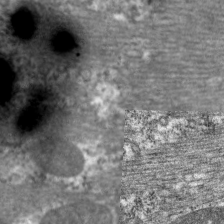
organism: C. elegans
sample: Pharynx